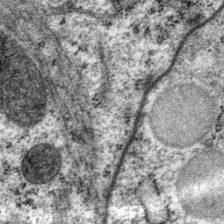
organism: P. pacificus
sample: Pharynx